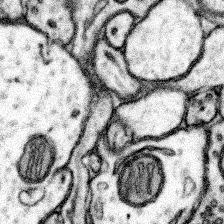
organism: Mouse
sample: Somatosensory cortex neuropil